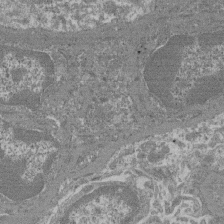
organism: Mouse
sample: Glomerulus